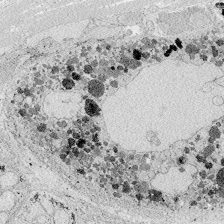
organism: Zebrafish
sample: Whole-Brain